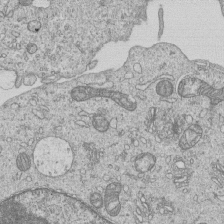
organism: Human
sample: MDA-MB-231 cells